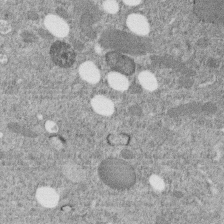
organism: C. elegans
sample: C. elegans embryo early stage